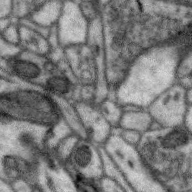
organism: Zebra finch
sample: Brain